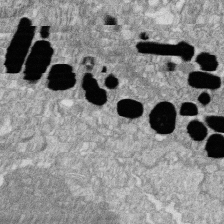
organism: Zebrafish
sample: Cilia; retinal pigment epithelium